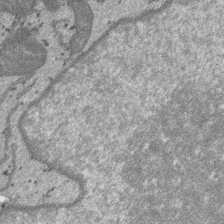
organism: Human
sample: Lung epithelial cells infected with SARS-CoV-2